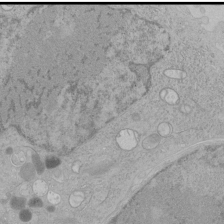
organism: Human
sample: Mitochondria in HCT116 cells